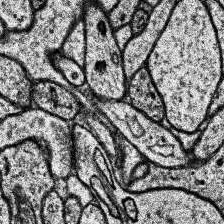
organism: Human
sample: Temporal Lobe